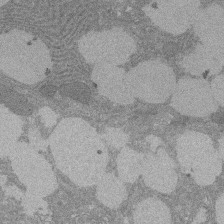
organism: Rat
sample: Salivary granule